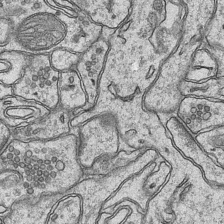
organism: Mouse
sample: CA1 Hippocampus